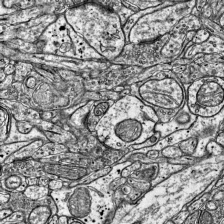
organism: Mouse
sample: Visual Cortex